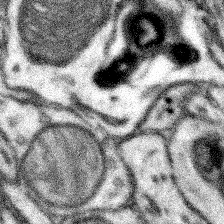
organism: Mouse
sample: Somatosensory cortex neuropil